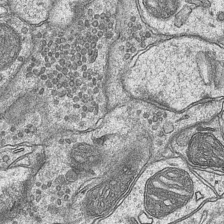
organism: Mouse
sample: CA1 Hippocampus